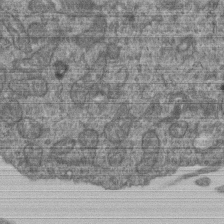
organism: Human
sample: Retinal organoid Rod and Cone cells